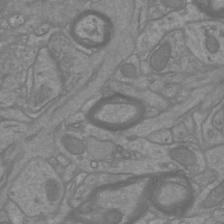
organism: Mouse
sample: Cortical neurons